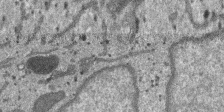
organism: Human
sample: Lung epithelial cells infected with SARS-CoV-2